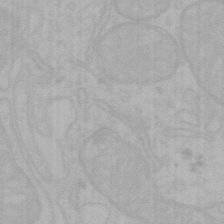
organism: Mouse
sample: Choroid plexus